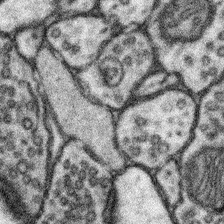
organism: Mouse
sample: Somatosensory cortex neuropil